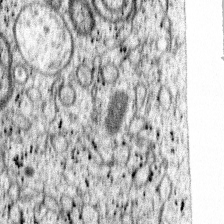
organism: Human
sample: HeLa cells